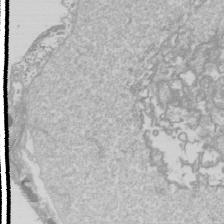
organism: Drosophila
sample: Cell division; meiosis; drosophila spermatocytes